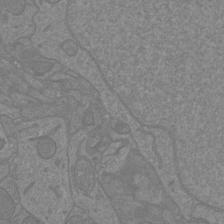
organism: Mouse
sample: Cortical neurons